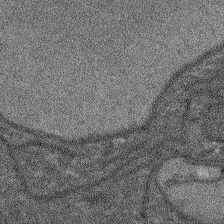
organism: Arabidopsis thaliana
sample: Root tip